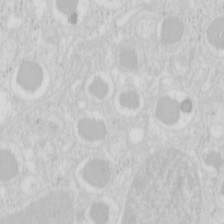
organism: Mouse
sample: Pancreas